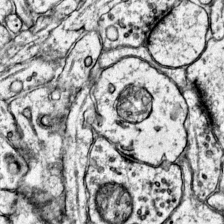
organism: Mouse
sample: Primary visual cortex